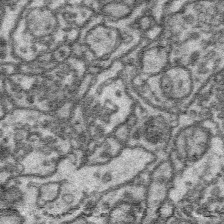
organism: Platynereis dumerilii